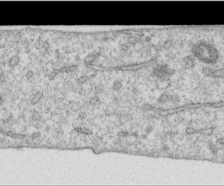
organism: Human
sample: Centriole in RPE cells